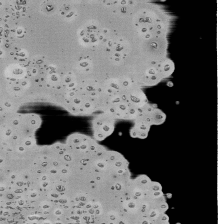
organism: Mouse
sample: Activated Pmel transgenic CD8+ T Cells